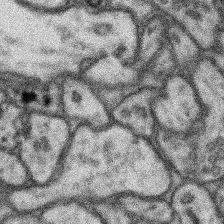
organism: Mouse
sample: Somatosensory cortex neuropil